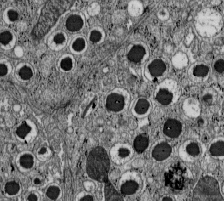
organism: C57BL Mouse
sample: Pancreatic islet